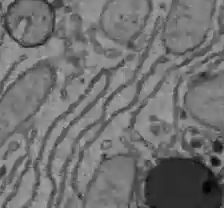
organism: C57BL Mouse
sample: Liver